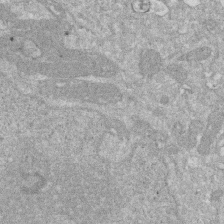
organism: Human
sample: HIV infected U937 cells